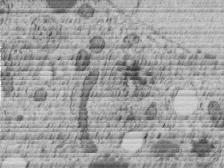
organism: C. elegans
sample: C. elegans embryo early stage